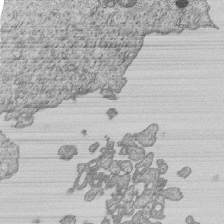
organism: Human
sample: MDA-MB-231 cells